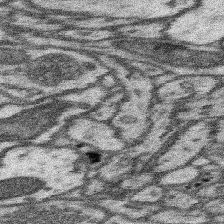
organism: Mouse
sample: Somatosensory cortex neuropil